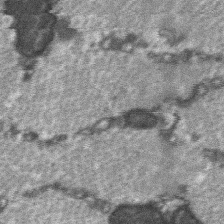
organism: C57BL Mouse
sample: Soleus